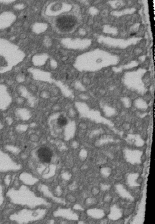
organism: Drosophila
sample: Nephrocyte